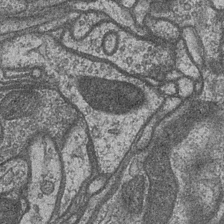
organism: Drosophila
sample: Optic medulla